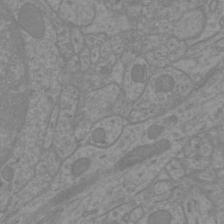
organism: Mouse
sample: Cortical neurons